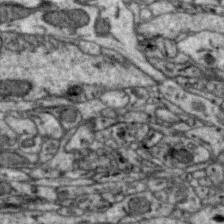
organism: Zebra finch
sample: Brain